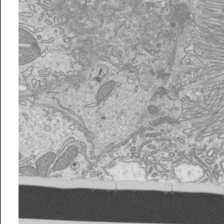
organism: Mouse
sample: Cilia; mouse epididymis